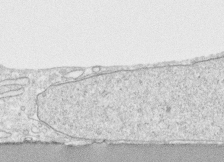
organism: Human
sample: CRL-1474